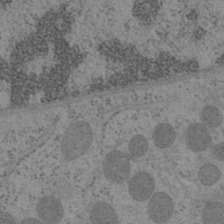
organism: Mouse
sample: OT-I killer T cells with ID8 ovarian cancer cells